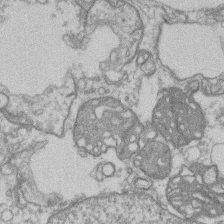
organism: Mouse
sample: T cell stromal cell synapse